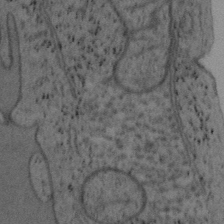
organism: Human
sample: HeLa cells